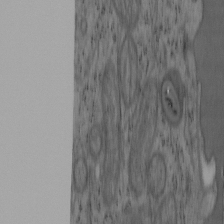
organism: Human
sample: HeLa cells